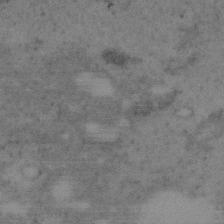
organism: Human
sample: HeLa cells